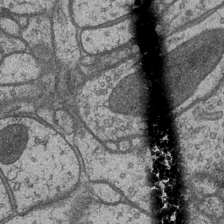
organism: Drosophila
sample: Optic medulla